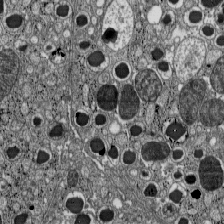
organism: C57BL Mouse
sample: Pancreatic islet